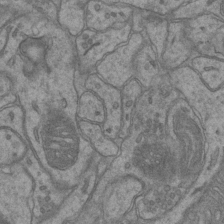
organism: Mouse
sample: CA1 Hippocampus